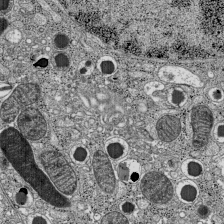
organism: C57BL Mouse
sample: Pancreatic islet